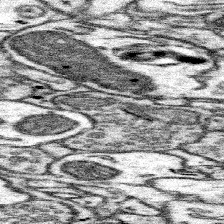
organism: Mouse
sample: Somatosensory cortex neuropil